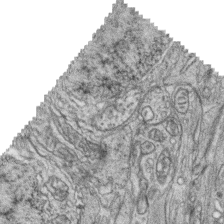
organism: Zebrafish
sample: synaptic ribbons in rod cells and cone cells